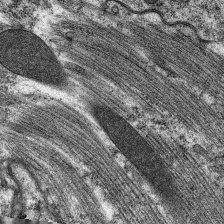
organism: C. elegans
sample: Pharynx